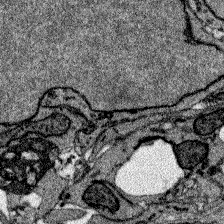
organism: Zebrafish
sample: Larval olfactory bulb